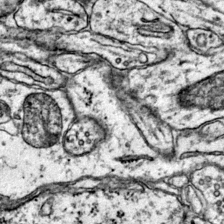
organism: Mouse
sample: Primary visual cortex